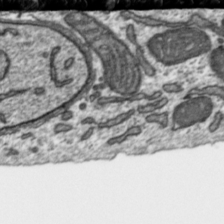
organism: Toxoplasma gondii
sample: Parasites in a vacuole inside a host cell